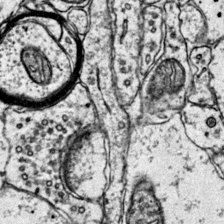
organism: Mouse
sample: Primary visual cortex